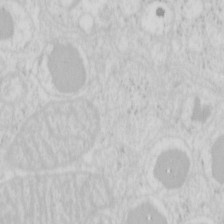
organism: Mouse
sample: Pancreas